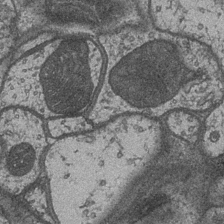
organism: Drosophila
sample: Optic medulla